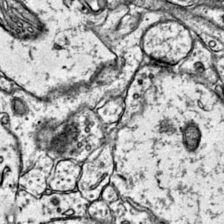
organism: Mouse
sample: Primary visual cortex